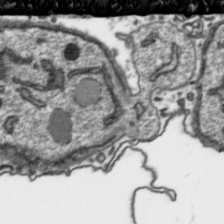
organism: Toxoplasma gondii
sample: Parasites in a vacuole inside a host cell